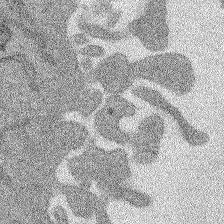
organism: Human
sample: HeLa cells